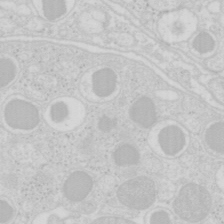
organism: Mouse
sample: Pancreas